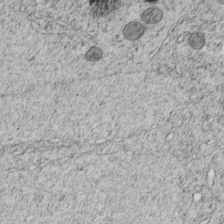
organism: C. elegans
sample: C. elegans embryo early stage